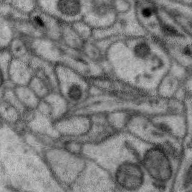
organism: Zebra finch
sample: Brain